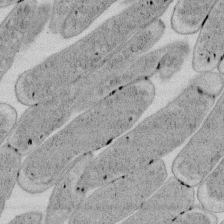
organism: E. coli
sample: Bacterial nucleoid